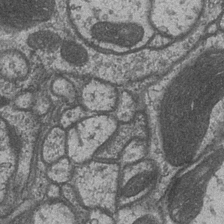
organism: Drosophila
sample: Optic medulla